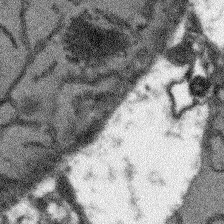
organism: Arabidopsis thaliana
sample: Root tip